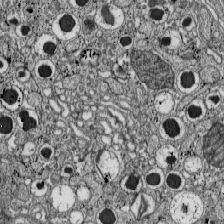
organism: C57BL Mouse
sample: Pancreatic islet